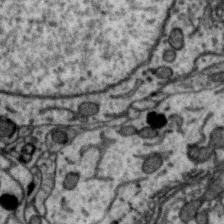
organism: Zebra finch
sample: Brain